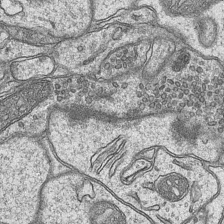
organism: Mouse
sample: CA1 Hippocampus